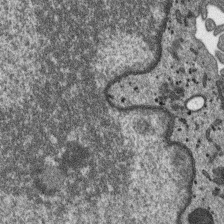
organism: Human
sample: Lung epithelial cells infected with SARS-CoV-2